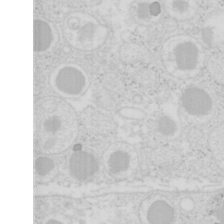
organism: Mouse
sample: Pancreas